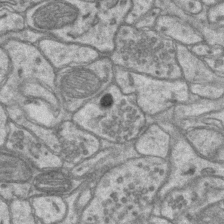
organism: Mouse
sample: CA1 Hippocampus